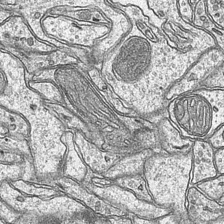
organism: Mouse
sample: CA1 Hippocampus